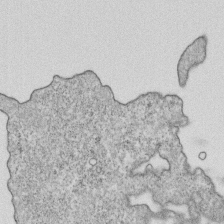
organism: Mouse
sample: Activated OT-1 CD8+ T cells